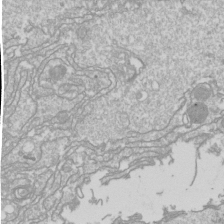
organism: Drosophila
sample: Cell division; meiosis; drosophila spermatocytes